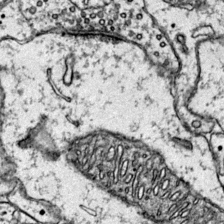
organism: Mouse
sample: Primary visual cortex